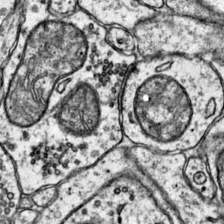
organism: Mouse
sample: Primary visual cortex